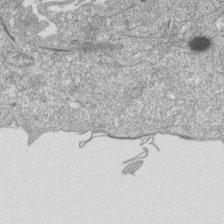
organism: Human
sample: HeLa cell HIV synapse